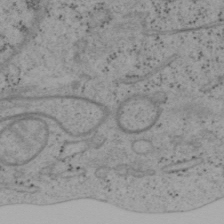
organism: Human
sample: HeLa cells